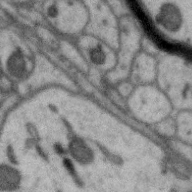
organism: Zebra finch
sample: Brain